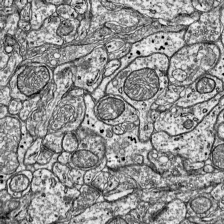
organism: Mouse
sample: Visual Cortex